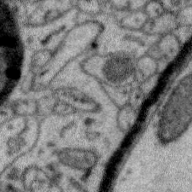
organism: Zebra finch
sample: Brain